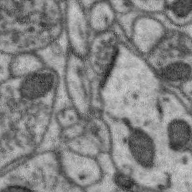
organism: Zebra finch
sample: Brain